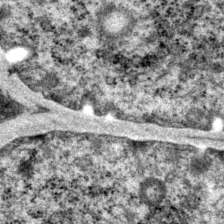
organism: P. pacificus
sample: Pharynx